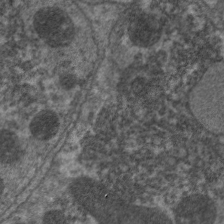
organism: C. elegans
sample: Pharynx